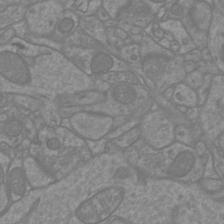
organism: Mouse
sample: Cortical neurons